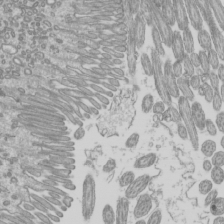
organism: Mouse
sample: Cilia; mouse epididymis